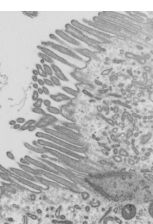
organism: Mouse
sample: Mouse epididymis efferent ductule cilia